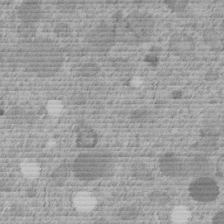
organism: C. elegans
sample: C. elegans embryo early stage